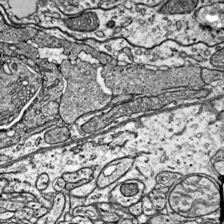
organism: Mouse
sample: Visual Cortex